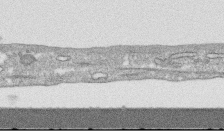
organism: Human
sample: CRL-1474